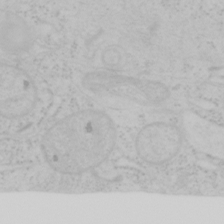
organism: Mouse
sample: OT-I killer T cells with ID8 ovarian cancer cells